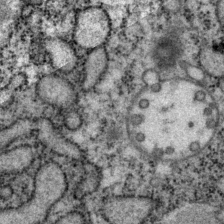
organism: P. pacificus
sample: Pharynx